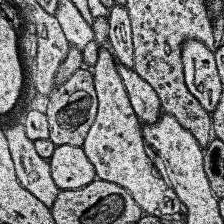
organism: Human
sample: Temporal Lobe